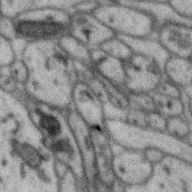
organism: Zebra finch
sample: Brain